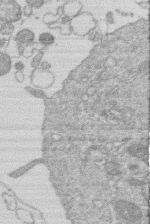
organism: Human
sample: Macrophage cells